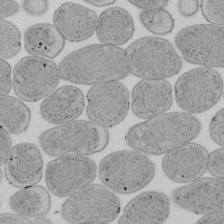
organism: E. coli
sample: Bacterial nucleoid